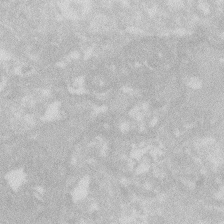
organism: Zebrafish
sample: Macrophage